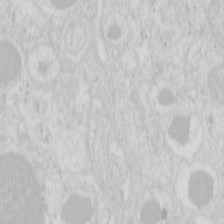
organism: Mouse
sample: Pancreas